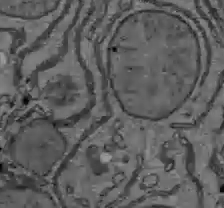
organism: C57BL Mouse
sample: Liver